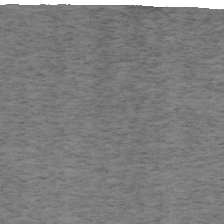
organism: Mouse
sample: OT-I killer T cells with ID8 ovarian cancer cells